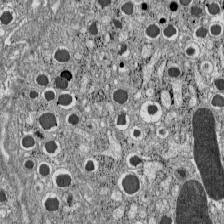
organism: C57BL Mouse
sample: Pancreatic islet